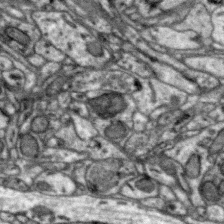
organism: Zebra finch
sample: Brain